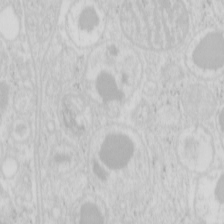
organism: Mouse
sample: Pancreas